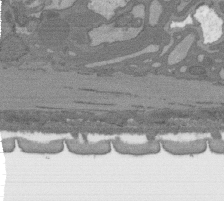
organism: C. elegans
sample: AFD neurons C. elegans